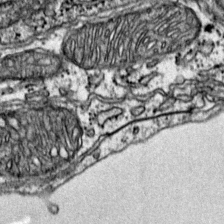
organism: Mouse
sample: Primary visual cortex